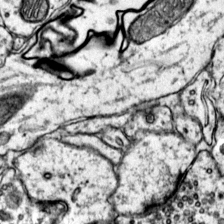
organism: Mouse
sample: Primary visual cortex